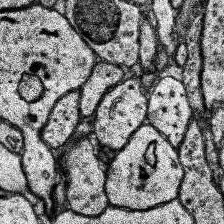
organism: Human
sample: Temporal Lobe